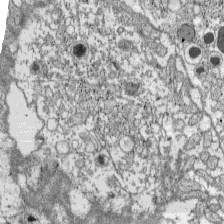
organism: C57BL Mouse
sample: Pancreatic islet